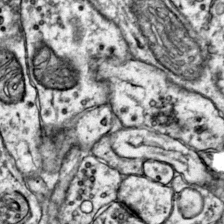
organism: Mouse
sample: Primary visual cortex